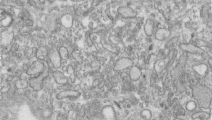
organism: Human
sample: Centriole in RPE cells